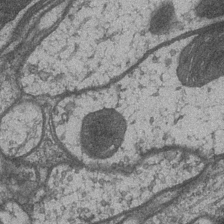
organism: Drosophila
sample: Optic medulla